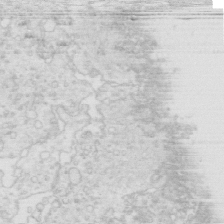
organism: Mouse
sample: Multiciliated cells